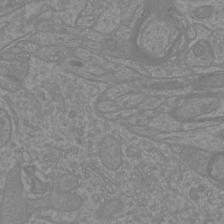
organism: Mouse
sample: Cortical neurons